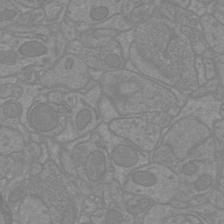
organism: Mouse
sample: Cortical neurons